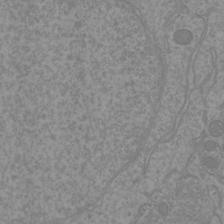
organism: Mouse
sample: Cortical neurons